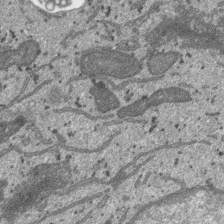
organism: Human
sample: Lung epithelial cells infected with SARS-CoV-2